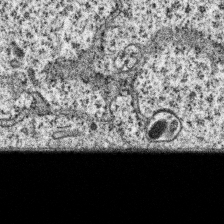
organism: Human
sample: HeLa cells